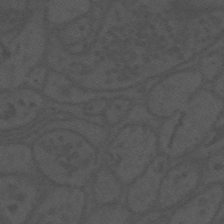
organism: Mouse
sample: Suprachiasmatic nucleus